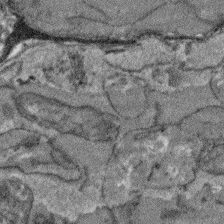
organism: Arabidopsis thaliana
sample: Root tip